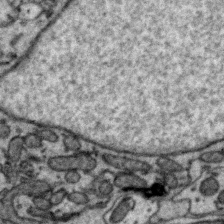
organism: Zebra finch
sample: Brain